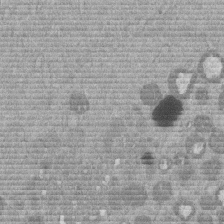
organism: Mouse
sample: Dividing mouse embryo 1 cell stage